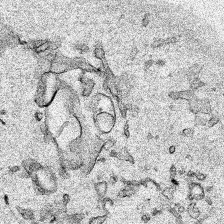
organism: Human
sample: Mitochondria in HCT116 cells